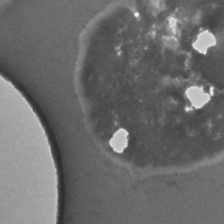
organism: C. elegans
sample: C. elegans embryo